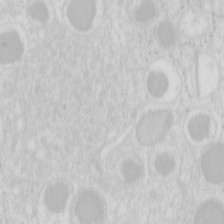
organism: Mouse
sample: Pancreas